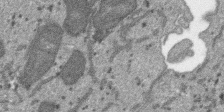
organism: Human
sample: Lung epithelial cells infected with SARS-CoV-2